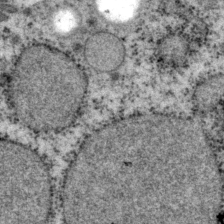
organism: P. pacificus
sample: Pharynx